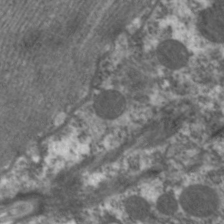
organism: C. elegans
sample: Pharynx